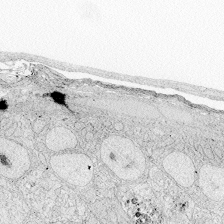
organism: Zebrafish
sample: Whole-Brain